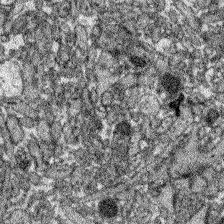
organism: Zebrafish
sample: Larval olfactory bulb